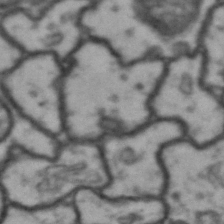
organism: Drosophila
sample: Brain